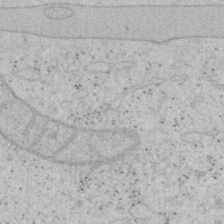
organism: Human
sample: HeLa cells